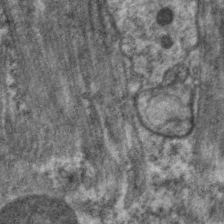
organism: C. elegans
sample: Pharynx